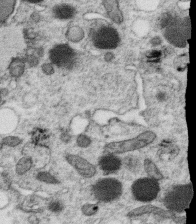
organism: C. elegans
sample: C. elegans oocyte; sperm cells